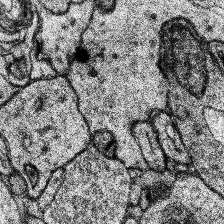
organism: Human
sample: Temporal Lobe